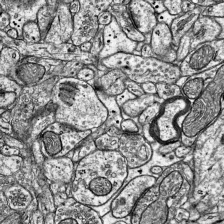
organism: Mouse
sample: Visual Cortex